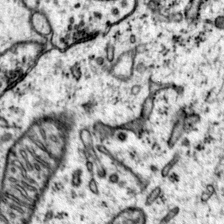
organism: Mouse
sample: Primary visual cortex